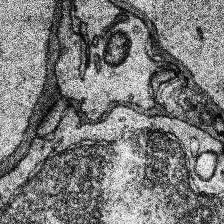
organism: Human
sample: Temporal Lobe